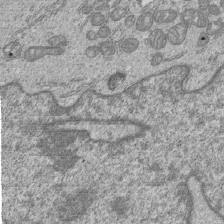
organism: Human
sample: MDA-MB-231 cells